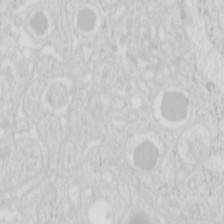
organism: Mouse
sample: Pancreas